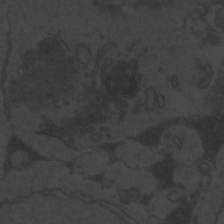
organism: Zebrafish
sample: Macrophage infected with Toxoplasma gondii